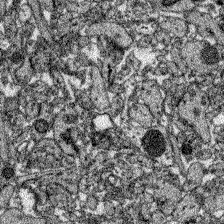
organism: Zebrafish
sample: Larval olfactory bulb